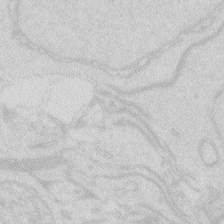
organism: Zebrafish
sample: Macrophage